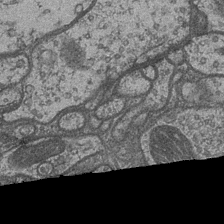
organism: Drosophila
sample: Optic medulla